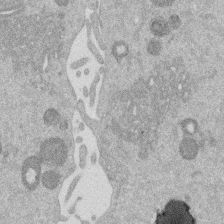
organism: Mouse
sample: Dividing mouse embryo 1 cell stage